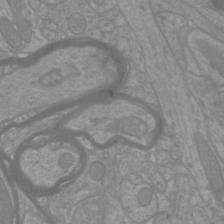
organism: Mouse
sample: Cortical neurons